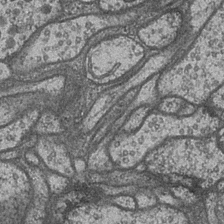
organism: Drosophila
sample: Optic medulla